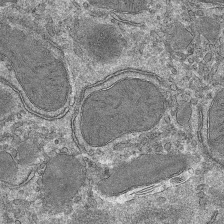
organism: Mouse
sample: Mouse hepatocytes